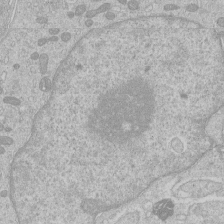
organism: Human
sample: Macrophage cells